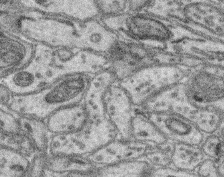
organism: Mouse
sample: Retina